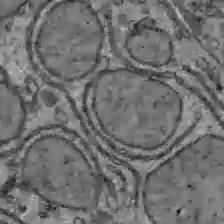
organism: C57BL Mouse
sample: Liver